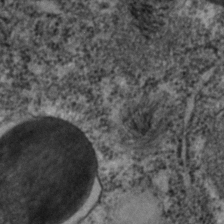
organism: C. elegans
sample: C. elegans embryo